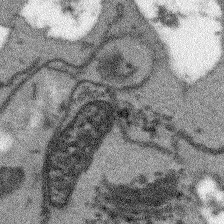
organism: Arabidopsis thaliana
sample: Root tip